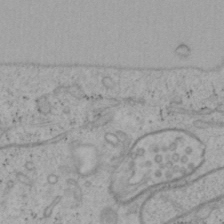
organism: Human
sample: HeLa cells